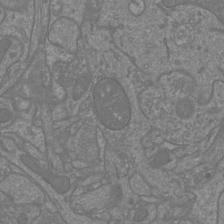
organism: Mouse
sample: Cortical neurons